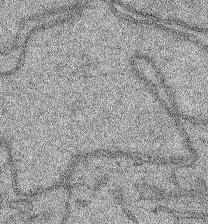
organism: Human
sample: HeLa cells